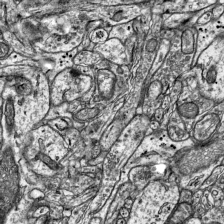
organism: Mouse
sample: Visual Cortex